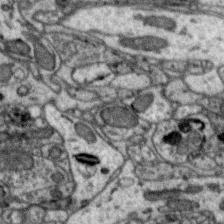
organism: Zebra finch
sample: Brain